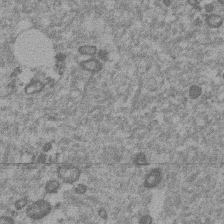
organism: Mouse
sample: Dividing mouse embryo 1 cell stage